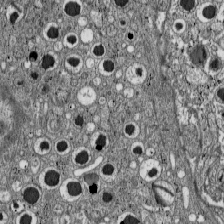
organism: C57BL Mouse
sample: Pancreatic islet